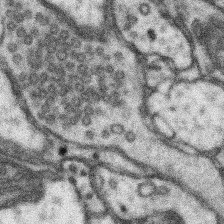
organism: Mouse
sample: Somatosensory cortex neuropil